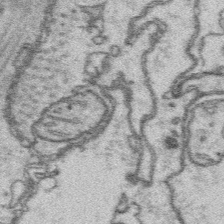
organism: Platynereis dumerilii